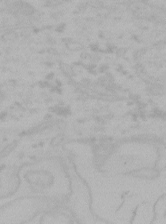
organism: Mouse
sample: Choroid plexus